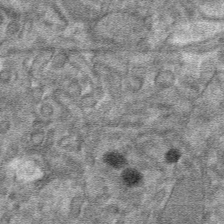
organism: Mouse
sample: Mouse hepatocytes